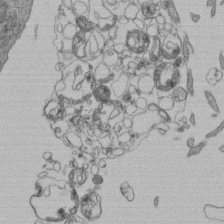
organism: Human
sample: Retinal organoid Rod and Cone cells